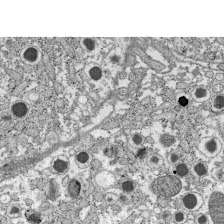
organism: C57BL Mouse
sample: Pancreatic islet